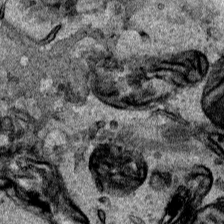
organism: Human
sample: Mitochondria in HCT116 cells